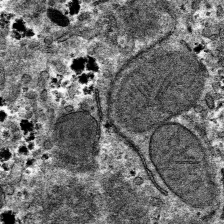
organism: Mouse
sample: Mouse hepatocytes